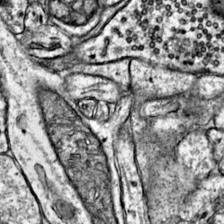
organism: Mouse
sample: Primary visual cortex